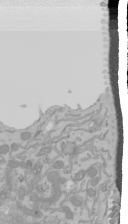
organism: Mouse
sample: Cancer cell death in ED-1 cells